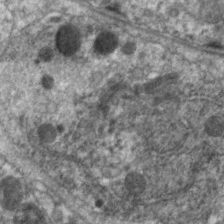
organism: C. elegans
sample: Pharynx